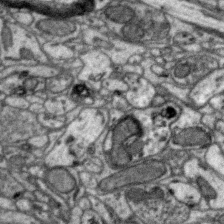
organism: Zebra finch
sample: Brain